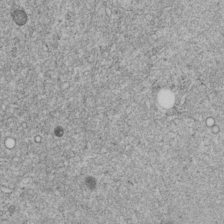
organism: C. elegans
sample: C. elegans embryo early stage